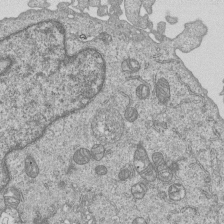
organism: Human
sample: MDA-MB-231 cells